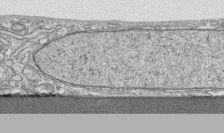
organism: Human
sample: CRL-1474